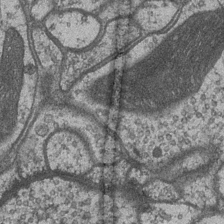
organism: Drosophila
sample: Optic medulla